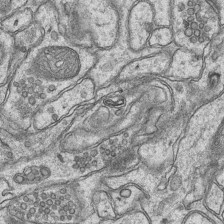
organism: Mouse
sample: CA1 Hippocampus